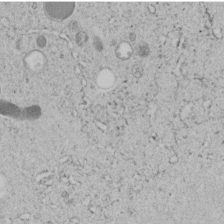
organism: C. elegans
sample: C. elegans embryo early stage